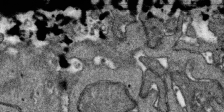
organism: Human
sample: Lung epithelial cells, uninfected (mock) control